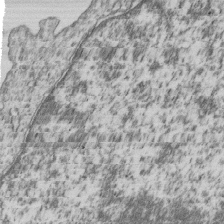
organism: Human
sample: MDA-MB-231 cells